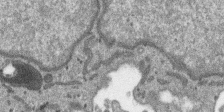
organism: Human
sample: Lung epithelial cells infected with SARS-CoV-2